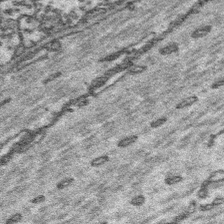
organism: Platynereis dumerilii